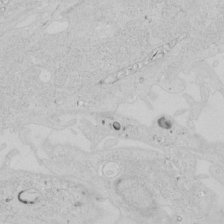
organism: Human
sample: Mitochondria in HCT116 cells